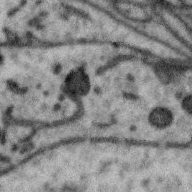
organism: Zebra finch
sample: Brain